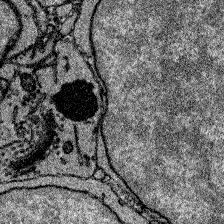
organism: Zebrafish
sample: Larval olfactory bulb